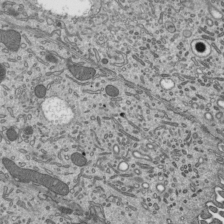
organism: Mouse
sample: Mouse epididymis efferent ductule cilia